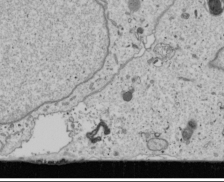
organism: Human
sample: Mitochondria in U2OS cells